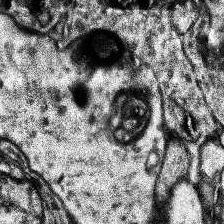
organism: Human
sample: Temporal Lobe